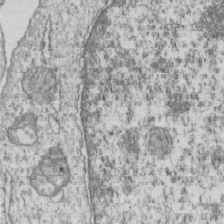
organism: Human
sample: MDA-MB-231 cells